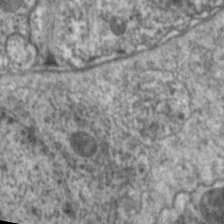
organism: C. elegans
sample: Pharynx